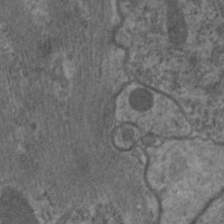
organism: C. elegans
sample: Pharynx